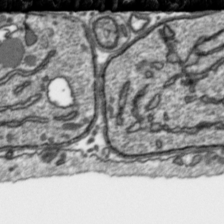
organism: Toxoplasma gondii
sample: Parasites in a vacuole inside a host cell